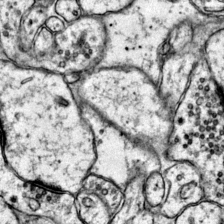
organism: Mouse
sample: Primary visual cortex